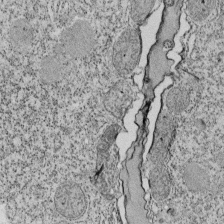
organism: Tetrahymena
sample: Cilia in tetrahymena